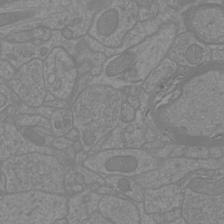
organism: Mouse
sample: Cortical neurons